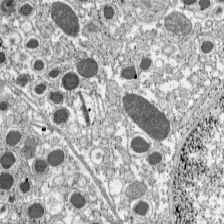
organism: C57BL Mouse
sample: Pancreatic islet